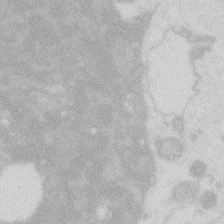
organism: Zebrafish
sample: Macrophage